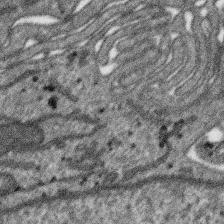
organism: Human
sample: Lung epithelial cells infected with SARS-CoV-2